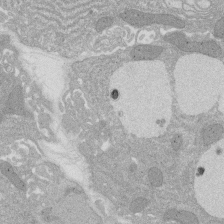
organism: Rat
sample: Salivary granule